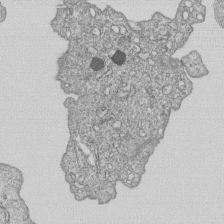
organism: Human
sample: MDA-MB-231 cells